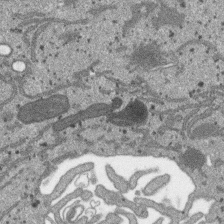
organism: Human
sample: Lung epithelial cells infected with SARS-CoV-2